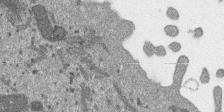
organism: Human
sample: Lung epithelial cells infected with SARS-CoV-2